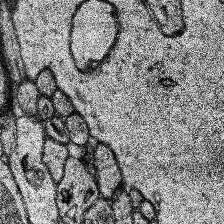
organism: Human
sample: Temporal Lobe